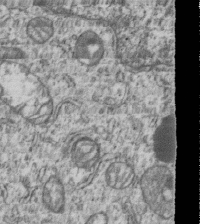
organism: Human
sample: MDA-MB-231 cells